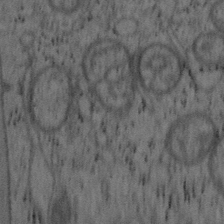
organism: Human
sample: HeLa cells